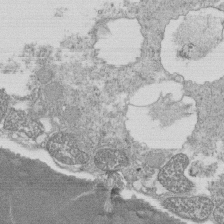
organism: Tetrahymena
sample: Cilia in tetrahymena